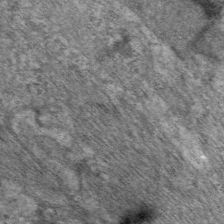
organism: C. elegans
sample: Pharynx